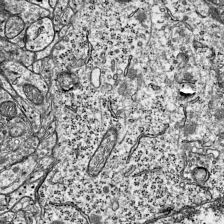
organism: Mouse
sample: Visual Cortex